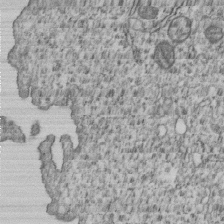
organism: Human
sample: MDA-MB-231 cells